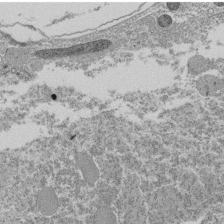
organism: Tetrahymena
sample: Cilia in tetrahymena